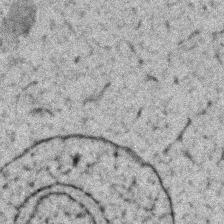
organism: Zebrafish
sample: Zebrafish embryo